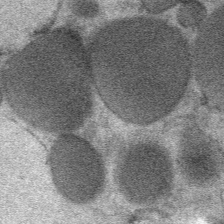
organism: Mouse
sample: Mouse Salivary gland